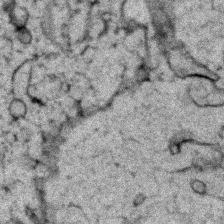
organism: Zebrafish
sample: Zebrafish embryo